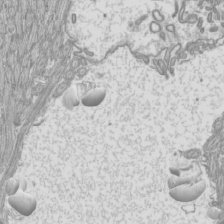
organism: Mouse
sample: Cilia; mouse epididymis